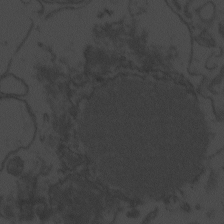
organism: Zebrafish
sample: Macrophage infected with Toxoplasma gondii